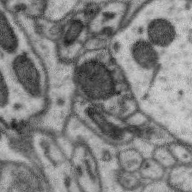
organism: Zebra finch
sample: Brain